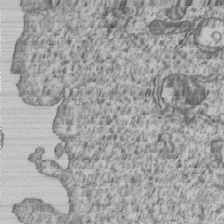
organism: Human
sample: MDA-MB-231 cells